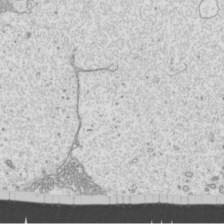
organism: Mouse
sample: Cilia; mouse epididymis